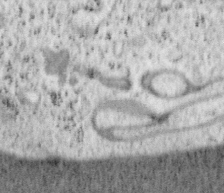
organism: Mouse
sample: OT-I killer T cells with ID8 ovarian cancer cells